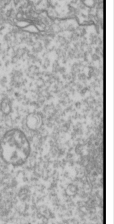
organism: Drosophila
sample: Cell division; meiosis; drosophila spermatocytes